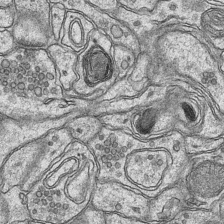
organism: Mouse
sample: CA1 Hippocampus